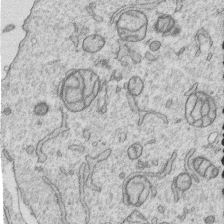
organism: Human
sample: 1205lu cells